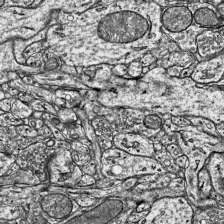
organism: Mouse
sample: Visual Cortex